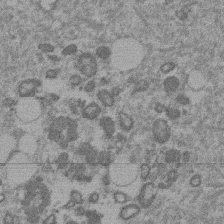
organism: Mouse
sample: Dividing mouse embryo 1 cell stage